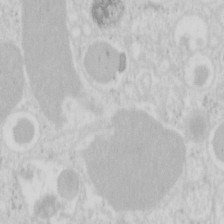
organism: Mouse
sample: Pancreas